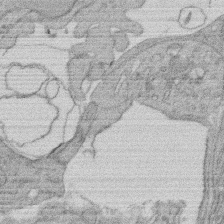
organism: Rat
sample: Salivary granule